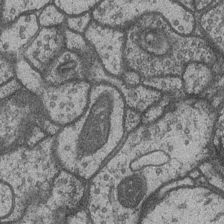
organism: Drosophila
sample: Optic medulla